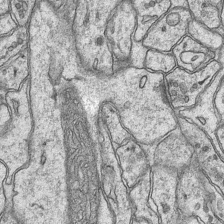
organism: Mouse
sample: CA1 Hippocampus